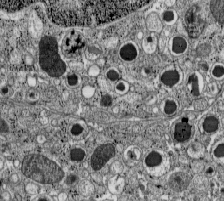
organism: C57BL Mouse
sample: Pancreatic islet